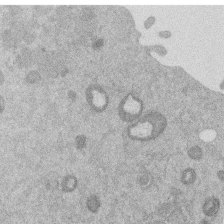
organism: Mouse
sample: Dividing mouse embryo 1 cell stage